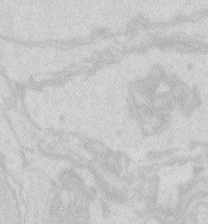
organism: Zebrafish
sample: Macrophage